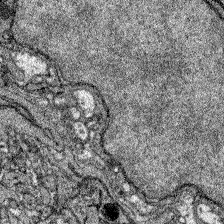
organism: Zebrafish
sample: Larval olfactory bulb